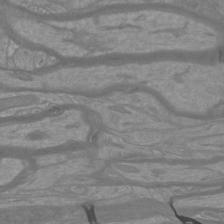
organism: Mouse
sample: Cortical neurons